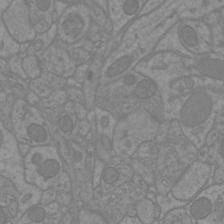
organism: Mouse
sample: Cortical neurons